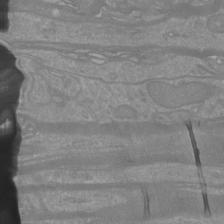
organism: Mouse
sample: Cortical neurons